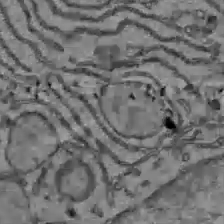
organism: C57BL Mouse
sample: Liver